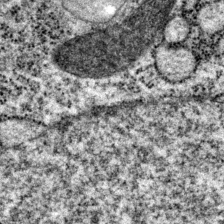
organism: P. pacificus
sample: Pharynx